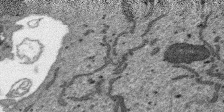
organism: Human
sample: Lung epithelial cells infected with SARS-CoV-2